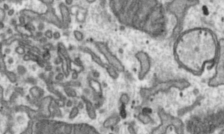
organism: Toxoplasma gondii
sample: Parasites in a vacuole inside a host cell